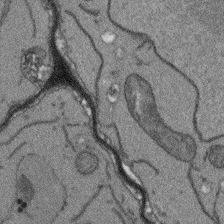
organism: Arabidopsis thaliana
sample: Root tip